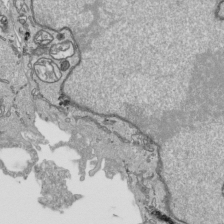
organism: Human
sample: Mitochondria in HCT116 cells